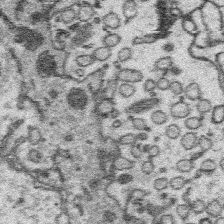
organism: Platynereis dumerilii